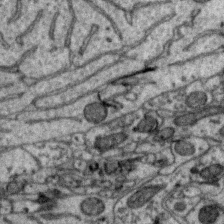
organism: Zebra finch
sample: Brain